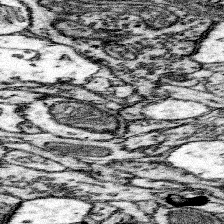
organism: Mouse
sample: Somatosensory cortex neuropil